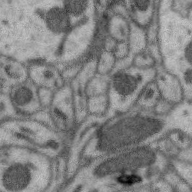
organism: Zebra finch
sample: Brain